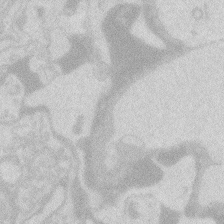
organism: Zebrafish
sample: Macrophage